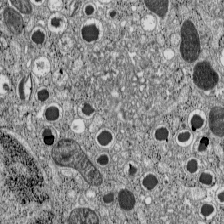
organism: C57BL Mouse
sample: Pancreatic islet